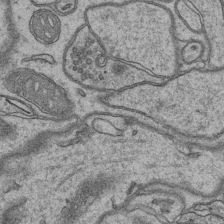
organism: Mouse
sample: CA1 Hippocampus